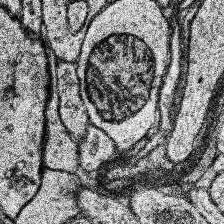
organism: Human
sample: Temporal Lobe